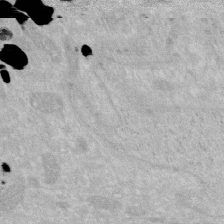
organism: Human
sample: HIV infected U937 cells